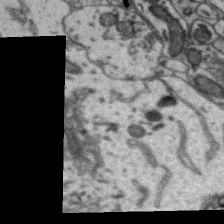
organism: Zebra finch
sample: Brain